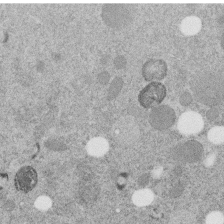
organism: C. elegans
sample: C. elegans embryo early stage